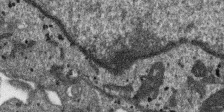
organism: Human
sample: Lung epithelial cells infected with SARS-CoV-2